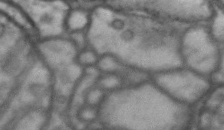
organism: Drosophila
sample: Brain